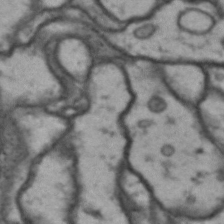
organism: Drosophila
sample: Brain